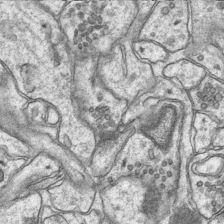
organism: Mouse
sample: CA1 Hippocampus